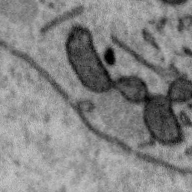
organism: Zebra finch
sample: Brain